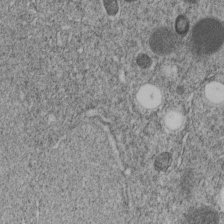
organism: C. elegans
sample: C. elegans embryo early stage